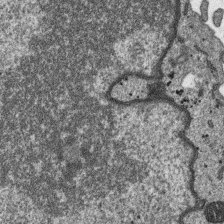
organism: Human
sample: Lung epithelial cells infected with SARS-CoV-2